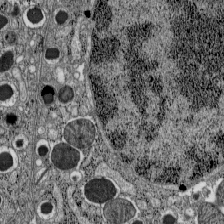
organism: C57BL Mouse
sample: Pancreatic islet